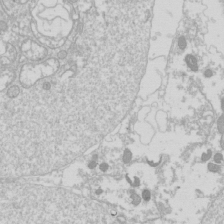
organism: Drosophila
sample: Cell division; meiosis; drosophila spermatocytes